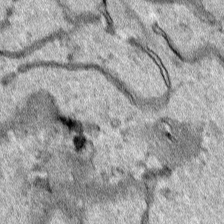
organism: Human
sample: Mitochondria in HCT116 cells